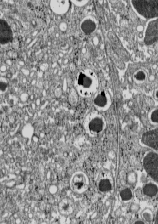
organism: C57BL Mouse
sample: Pancreatic islet